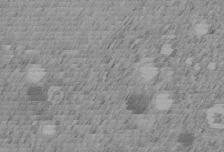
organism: C. elegans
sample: C. elegans embryo early stage